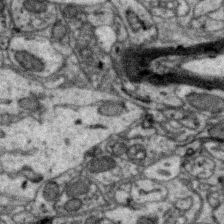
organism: Zebra finch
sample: Brain